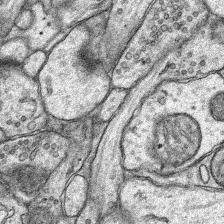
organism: Rat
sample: Hippocampus